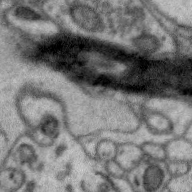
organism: Zebra finch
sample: Brain